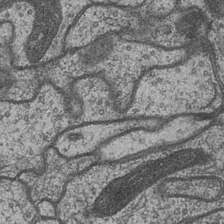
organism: Drosophila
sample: Optic medulla